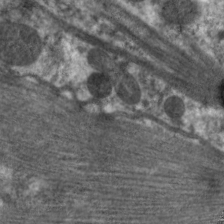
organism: C. elegans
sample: Pharynx